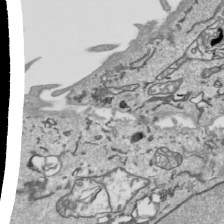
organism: Human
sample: Mitochondria in HCT116 cells